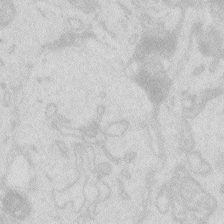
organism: Zebrafish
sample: Macrophage